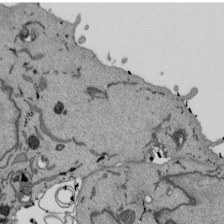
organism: Mouse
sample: ED-1 cell nuclei; centrioles